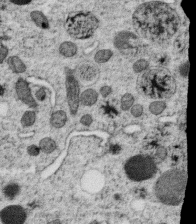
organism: C. elegans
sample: C. elegans oocyte; sperm cells